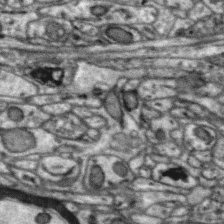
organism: Zebra finch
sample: Brain